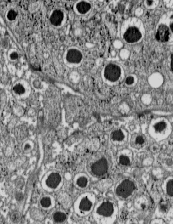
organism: C57BL Mouse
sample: Pancreatic islet